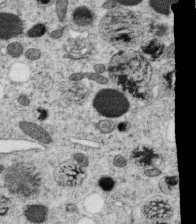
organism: C. elegans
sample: C. elegans oocyte; sperm cells